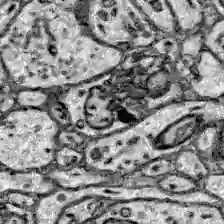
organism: Zebrafish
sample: Brain